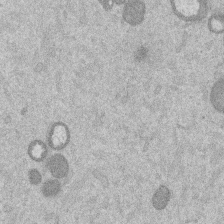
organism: Mouse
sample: Dividing mouse embryo 1 cell stage